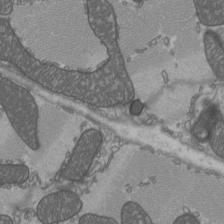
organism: C57BL Mouse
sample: Heart